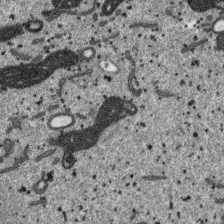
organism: Human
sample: Lung epithelial cells infected with SARS-CoV-2